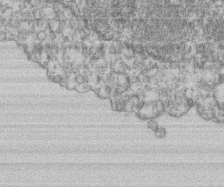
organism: Mouse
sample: T cell stromal cell synapse